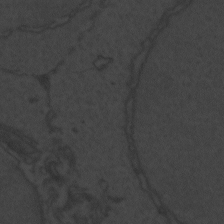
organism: Zebrafish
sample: Macrophage infected with Toxoplasma gondii